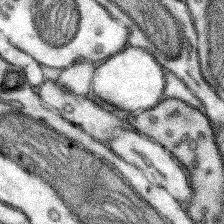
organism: Mouse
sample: Somatosensory cortex neuropil